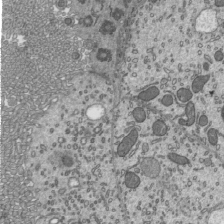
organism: Mouse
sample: Mouse epididymis efferent ductule cilia